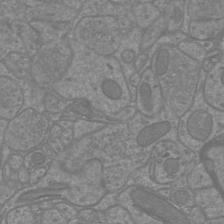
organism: Mouse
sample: Cortical neurons